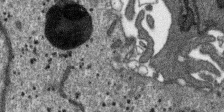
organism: Human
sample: Lung epithelial cells infected with SARS-CoV-2